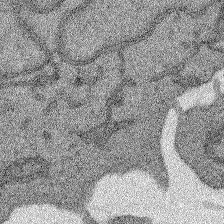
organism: Human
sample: HeLa cells